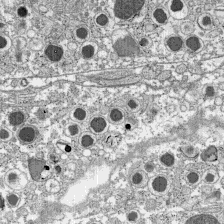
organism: C57BL Mouse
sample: Pancreatic islet